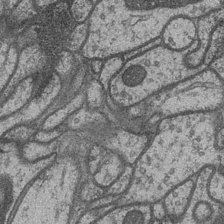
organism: Drosophila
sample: Optic medulla